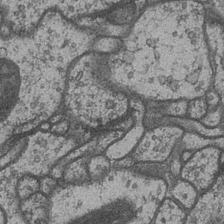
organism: Drosophila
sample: Optic medulla